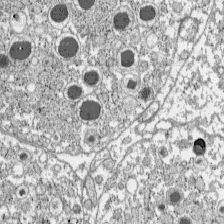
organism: C57BL Mouse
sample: Pancreatic islet